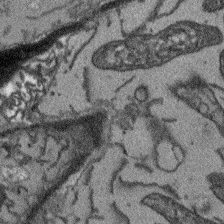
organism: Arabidopsis thaliana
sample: Root tip